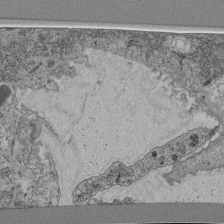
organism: C. elegans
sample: C. elegans pharynx